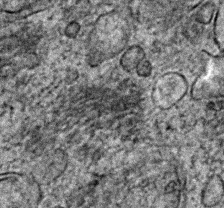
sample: Trachea